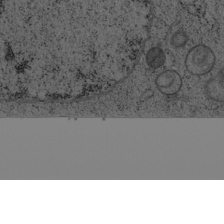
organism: African green monkey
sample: COS-7 cells